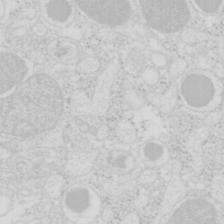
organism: Mouse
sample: Pancreas